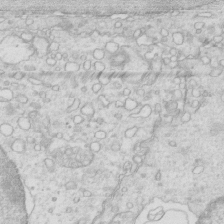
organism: Mouse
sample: Multiciliated cells